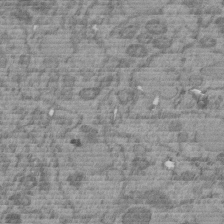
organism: C. elegans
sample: C. elegans embryo early stage